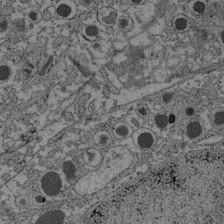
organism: C57BL Mouse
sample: Pancreatic islet